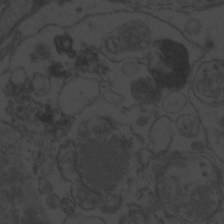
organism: Zebrafish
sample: Macrophage infected with Toxoplasma gondii